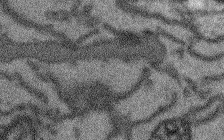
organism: Arabidopsis thaliana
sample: Root tip